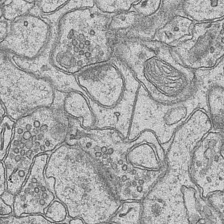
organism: Mouse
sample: CA1 Hippocampus